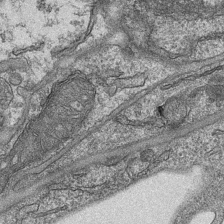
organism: Mouse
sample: CA1 Hippocampus